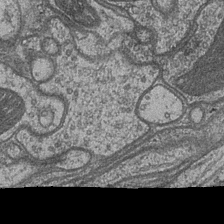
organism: Drosophila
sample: Optic medulla